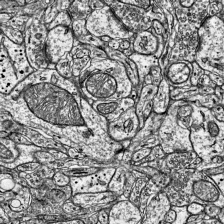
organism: Mouse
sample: Visual Cortex